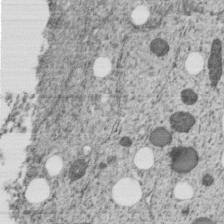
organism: C. elegans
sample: C. elegans embryo early stage